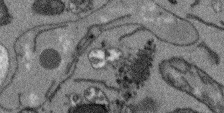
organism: Arabidopsis thaliana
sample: Root tip